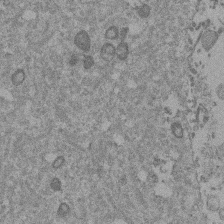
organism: Mouse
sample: Dividing mouse embryo 1 cell stage